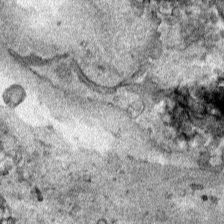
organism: Human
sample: Mitochondria in HCT116 cells